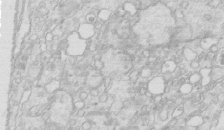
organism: Mouse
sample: Multiciliated cells